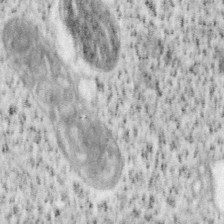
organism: Mouse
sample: OT-I killer T cells with ID8 ovarian cancer cells